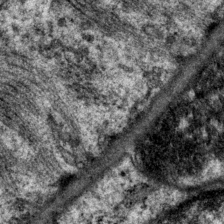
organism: P. pacificus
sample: Pharynx